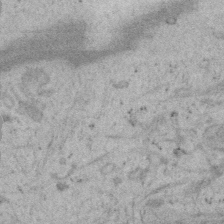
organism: Human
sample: HeLa cells